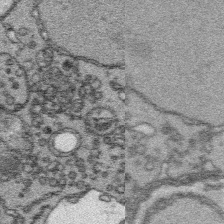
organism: Platynereis dumerilii